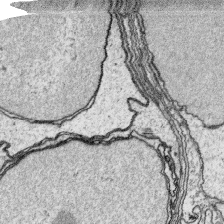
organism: Platynereis dumerilii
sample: Parapodia